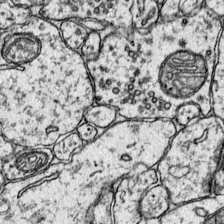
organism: Mouse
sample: Primary visual cortex